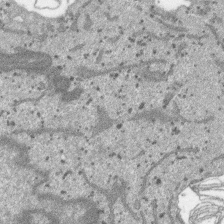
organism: Human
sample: Lung epithelial cells infected with SARS-CoV-2